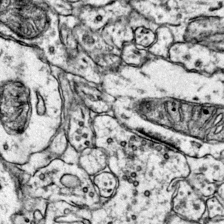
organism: Mouse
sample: Primary visual cortex